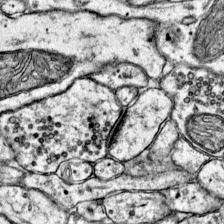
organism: Mouse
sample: Primary visual cortex